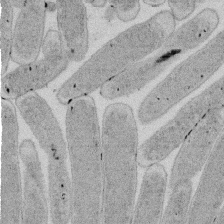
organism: E. coli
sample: Bacterial nucleoid